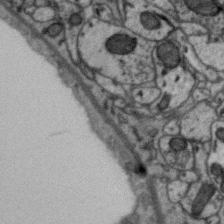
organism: Zebra finch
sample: Brain